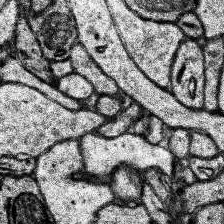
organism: Human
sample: Temporal Lobe